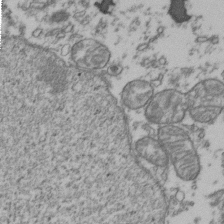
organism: Human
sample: Activated Jurkat CD4+ T cells